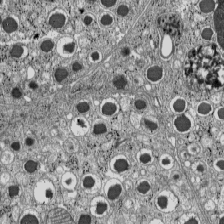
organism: C57BL Mouse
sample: Pancreatic islet